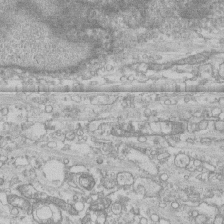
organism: Human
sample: CRL-1474